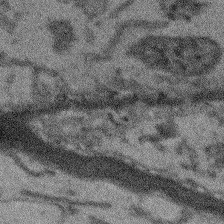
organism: Arabidopsis thaliana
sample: Root tip